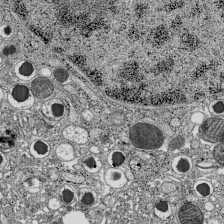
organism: C57BL Mouse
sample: Pancreatic islet